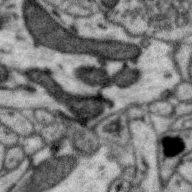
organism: Zebra finch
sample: Brain